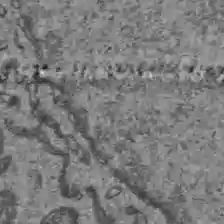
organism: C57BL Mouse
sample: Liver